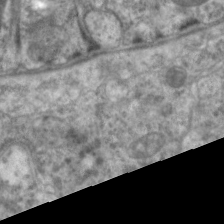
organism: C. elegans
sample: Pharynx